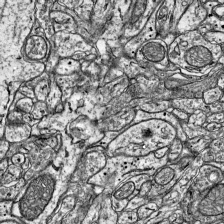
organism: Mouse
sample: Visual Cortex